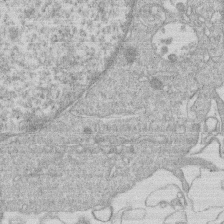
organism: Human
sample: Macrophage cells